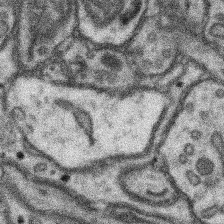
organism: Mouse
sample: Somatosensory cortex neuropil